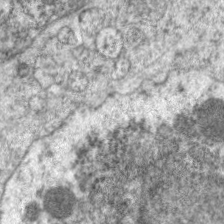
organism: C. elegans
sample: Pharynx